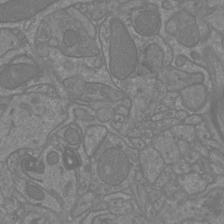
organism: Mouse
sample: Cortical neurons